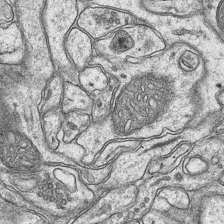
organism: Mouse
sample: CA1 Hippocampus